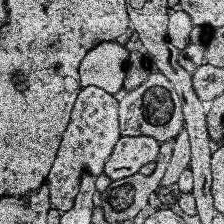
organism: Human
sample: Temporal Lobe